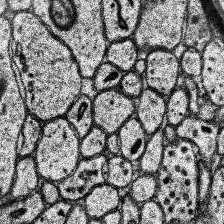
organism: Human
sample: Temporal Lobe